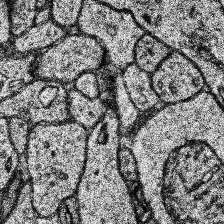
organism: Human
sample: Temporal Lobe